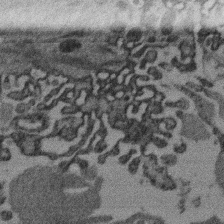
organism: Mouse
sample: Dividing mouse embryo 1 cell stage